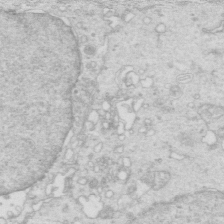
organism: Mouse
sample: Multiciliated cells